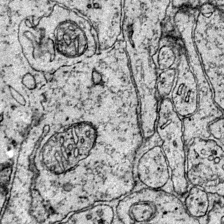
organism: Mouse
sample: Primary visual cortex